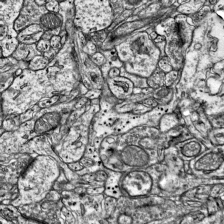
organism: Mouse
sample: Visual Cortex